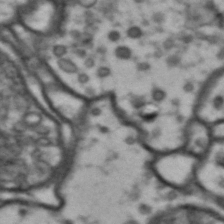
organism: Drosophila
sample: Brain